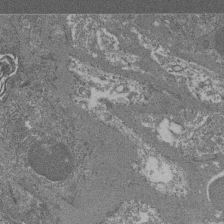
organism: Mouse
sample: Glomerulus